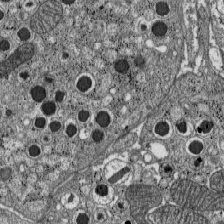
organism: C57BL Mouse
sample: Pancreatic islet